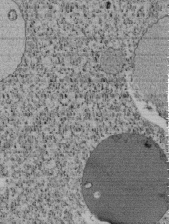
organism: Tetrahymena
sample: Cilia in tetrahymena